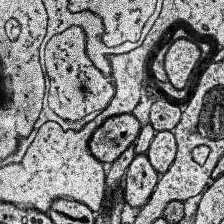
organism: Human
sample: Temporal Lobe